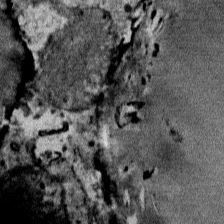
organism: Mouse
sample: Mouse Salivary gland